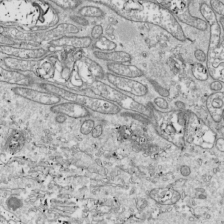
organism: Drosophila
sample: Cell division; meiosis; drosophila spermatocytes